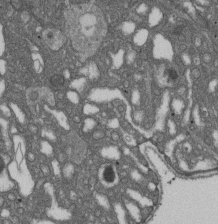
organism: Drosophila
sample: Nephrocyte